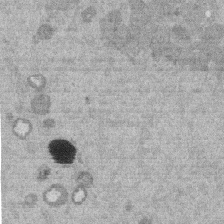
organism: Mouse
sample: Dividing mouse embryo 1 cell stage